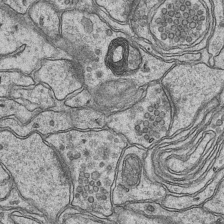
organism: Mouse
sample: CA1 Hippocampus